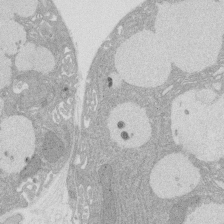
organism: Rat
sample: Salivary granule